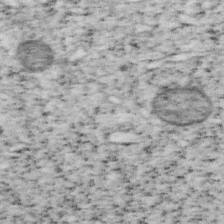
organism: Mouse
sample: OT-I killer T cells with ID8 ovarian cancer cells